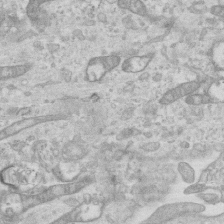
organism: Mouse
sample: Centriole in ependymal cells